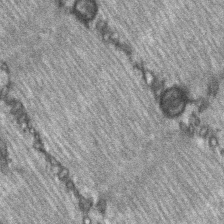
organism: C57BL Mouse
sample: Soleus